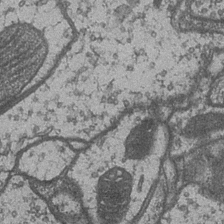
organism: Drosophila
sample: Optic medulla